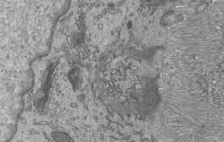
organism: Mouse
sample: Mouse epididymis efferent ductule cilia